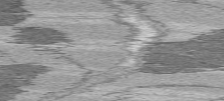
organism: C57BL Mouse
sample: Heart